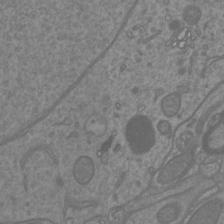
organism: Mouse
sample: Cortical neurons